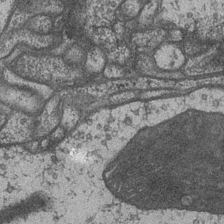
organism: Drosophila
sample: Optic medulla